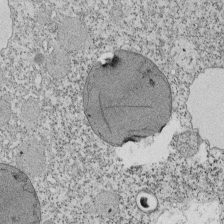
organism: Tetrahymena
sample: Cilia in tetrahymena